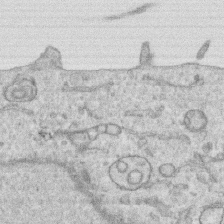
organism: Human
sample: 1205lu cells